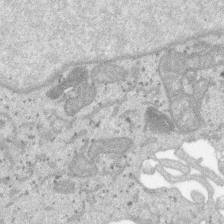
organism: Human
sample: Lung epithelial cells infected with SARS-CoV-2